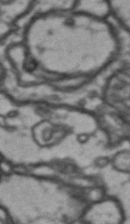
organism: Drosophila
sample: Brain